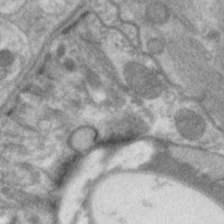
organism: C. elegans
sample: Pharynx